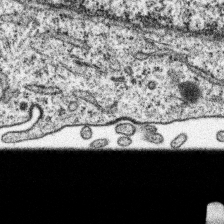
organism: Human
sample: HeLa cells